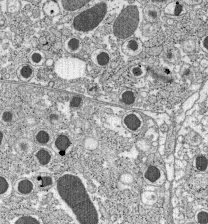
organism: C57BL Mouse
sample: Pancreatic islet